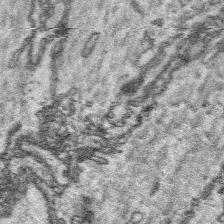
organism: Platynereis dumerilii